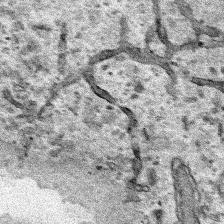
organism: Human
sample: Mitochondria in HCT116 cells